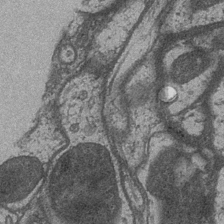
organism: Drosophila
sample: Optic medulla